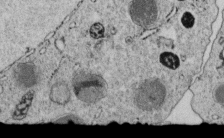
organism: C. elegans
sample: C. elegans embryo early stage